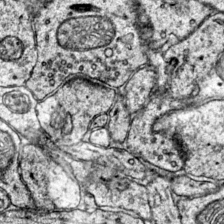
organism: Mouse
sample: Primary visual cortex